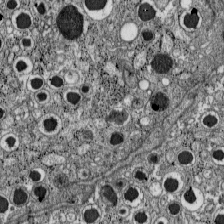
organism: C57BL Mouse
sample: Pancreatic islet